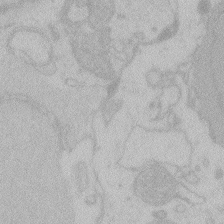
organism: Zebrafish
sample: Macrophage infected with Toxoplasma gondii